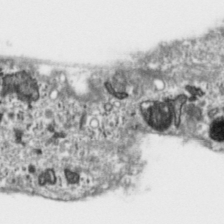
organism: Toxoplasma gondii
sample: Parasites in a vacuole inside a host cell